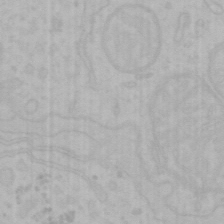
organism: Mouse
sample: Choroid plexus